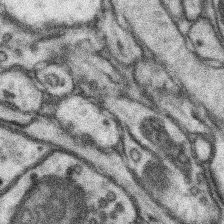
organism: Mouse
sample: Somatosensory cortex neuropil